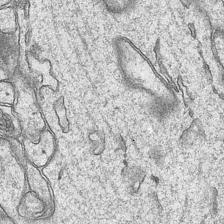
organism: Mouse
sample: CA1 Hippocampus